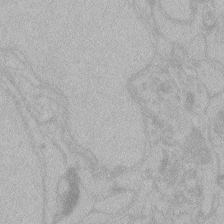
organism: Zebrafish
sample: Macrophage infected with Toxoplasma gondii